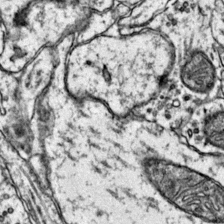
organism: Mouse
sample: Primary visual cortex